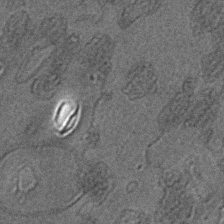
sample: Trachea